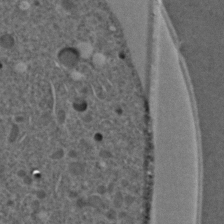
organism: C. elegans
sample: C. elegans embryo